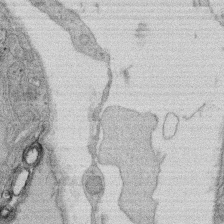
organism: Rat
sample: Salivary granule